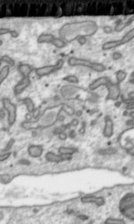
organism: Toxoplasma gondii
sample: Parasites in a vacuole inside a host cell